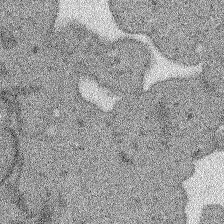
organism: Human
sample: HeLa cells